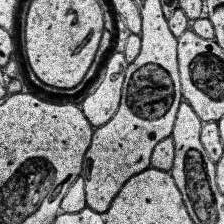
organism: Human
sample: Temporal Lobe